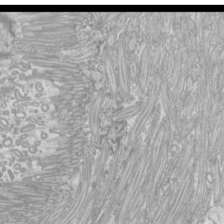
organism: Mouse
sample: Cilia; mouse epididymis